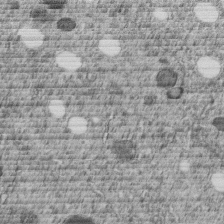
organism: C. elegans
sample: C. elegans embryo early stage